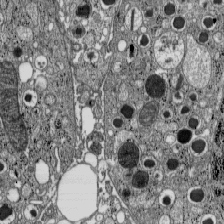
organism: C57BL Mouse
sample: Pancreatic islet